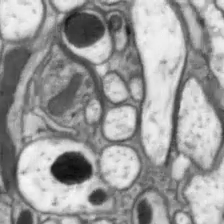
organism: Drosophila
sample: Optic lobe